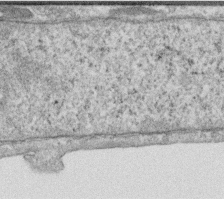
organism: Human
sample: Centriole in RPE cells